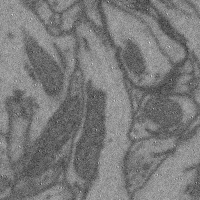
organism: Mouse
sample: Cerebral cortex